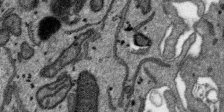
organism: Human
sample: Lung epithelial cells, uninfected (mock) control